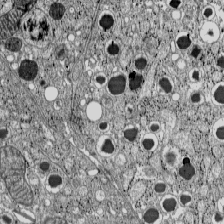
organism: C57BL Mouse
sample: Pancreatic islet